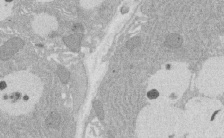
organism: Rat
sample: Salivary granule